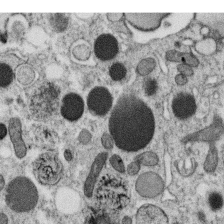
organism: C. elegans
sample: C. elegans oocyte; sperm cells